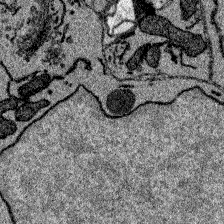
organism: Zebrafish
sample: Larval olfactory bulb